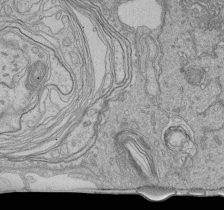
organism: Human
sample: Retinal organoid Rod and Cone cells